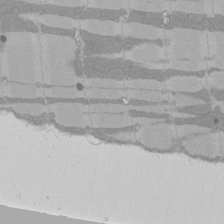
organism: Rat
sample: Left ventricle